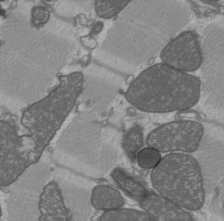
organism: C57BL Mouse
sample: Heart